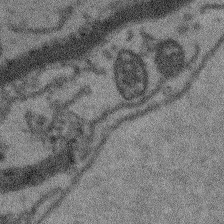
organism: Arabidopsis thaliana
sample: Root tip